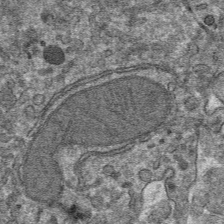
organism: Mouse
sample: Mouse hepatocytes